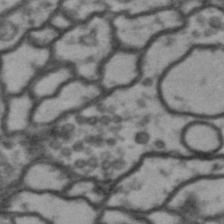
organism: Drosophila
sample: Brain